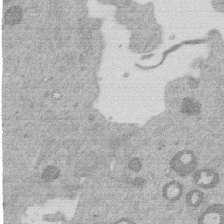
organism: Mouse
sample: Dividing mouse embryo 1 cell stage